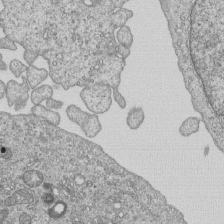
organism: Human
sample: MDA-MB-231 cells